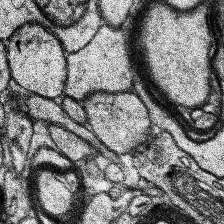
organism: Human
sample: Temporal Lobe